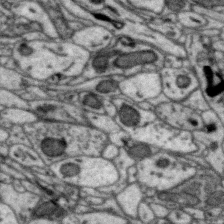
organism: Zebra finch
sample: Brain